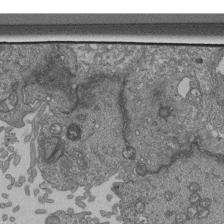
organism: Human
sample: Retinal organoid Rod and Cone cells